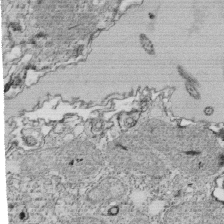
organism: Tetrahymena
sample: Cilia in tetrahymena